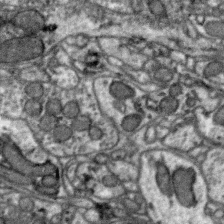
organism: Zebra finch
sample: Brain